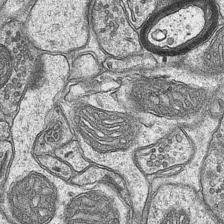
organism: Mouse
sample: CA1 Hippocampus